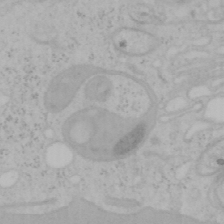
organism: Mouse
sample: OT-I killer T cells with ID8 ovarian cancer cells